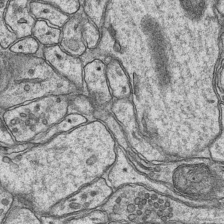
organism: Mouse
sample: CA1 Hippocampus